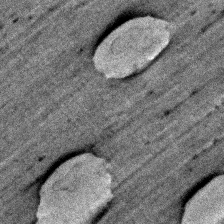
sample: Trachea